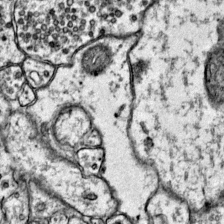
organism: Mouse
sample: Primary visual cortex